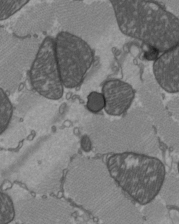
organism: C57BL Mouse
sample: Heart